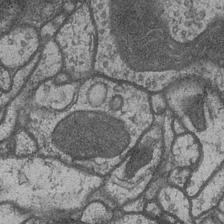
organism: Drosophila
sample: Optic medulla